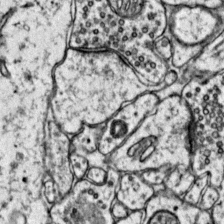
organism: Mouse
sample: Primary visual cortex